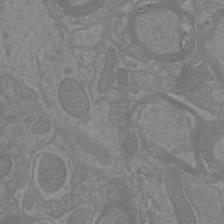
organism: Mouse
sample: Cortical neurons